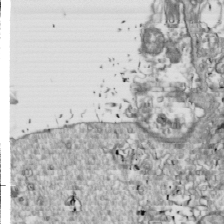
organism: Drosophila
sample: Cell division; meiosis; drosophila spermatocytes